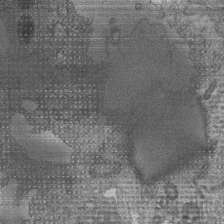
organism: Human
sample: Retinal organoid Rod and Cone cells